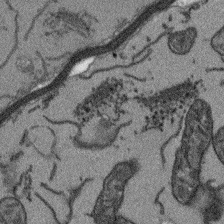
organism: Arabidopsis thaliana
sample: Root tip